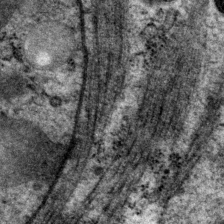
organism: P. pacificus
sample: Pharynx